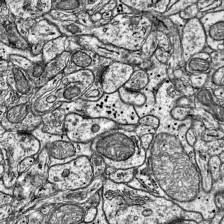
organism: Mouse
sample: Visual Cortex